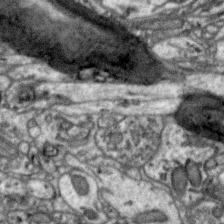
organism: Zebra finch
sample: Brain